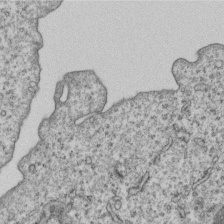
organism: Human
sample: MDA-MB-231 cells